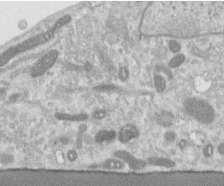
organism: Human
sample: Centriole in RPE cells